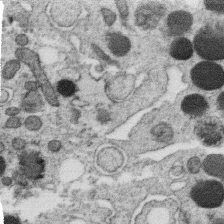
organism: C. elegans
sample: C. elegans oocyte; sperm cells